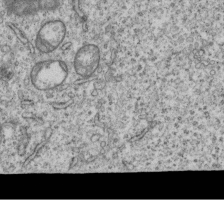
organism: Human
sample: MDA-MB-231 cells